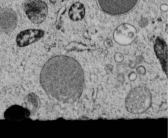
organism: C. elegans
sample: C. elegans embryo early stage